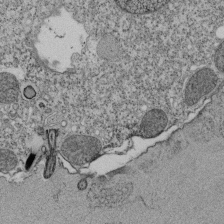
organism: Tetrahymena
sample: Cilia in tetrahymena